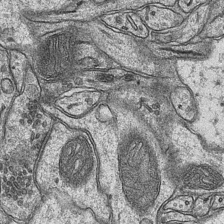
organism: Mouse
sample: CA1 Hippocampus